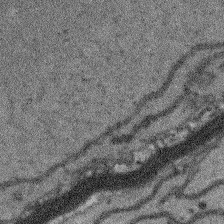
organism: Arabidopsis thaliana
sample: Root tip